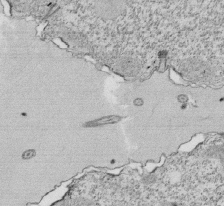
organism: Tetrahymena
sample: Cilia in tetrahymena